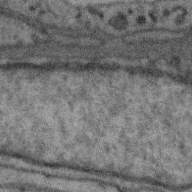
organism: Zebra finch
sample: Brain